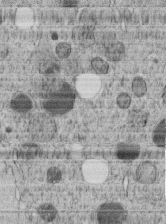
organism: C. elegans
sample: C. elegans embryo early stage